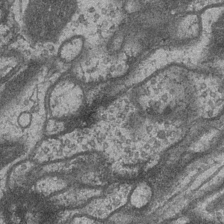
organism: Drosophila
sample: Optic medulla